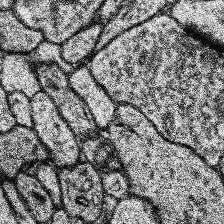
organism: Human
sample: Temporal Lobe